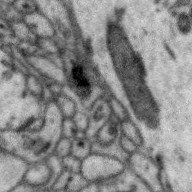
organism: Zebra finch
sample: Brain